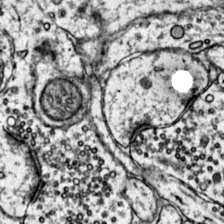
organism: Mouse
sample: Primary visual cortex